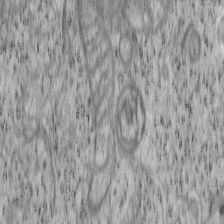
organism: Human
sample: HeLa cells